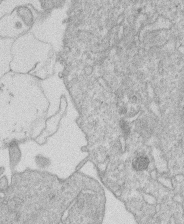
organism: Human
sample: Macrophage cells